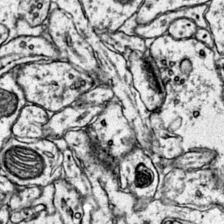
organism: Mouse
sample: Primary visual cortex